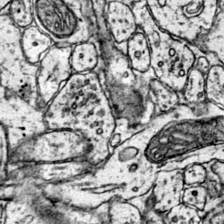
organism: Mouse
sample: Primary visual cortex